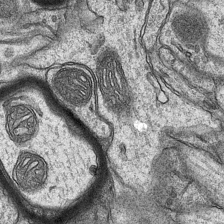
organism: Mouse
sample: CA1 Hippocampus